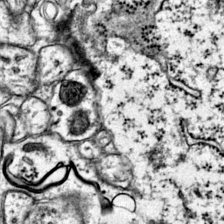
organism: Mouse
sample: Primary visual cortex